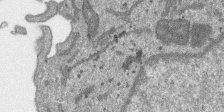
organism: Human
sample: Lung epithelial cells infected with SARS-CoV-2